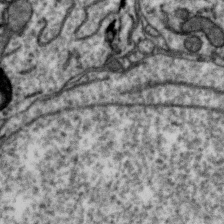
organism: Zebra finch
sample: Brain